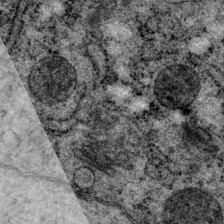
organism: P. pacificus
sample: Pharynx